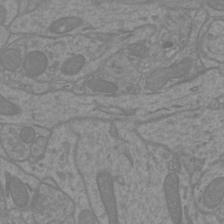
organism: Mouse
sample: Cortical neurons